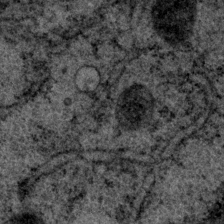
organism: P. pacificus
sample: Pharynx